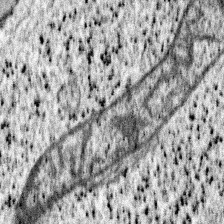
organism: Human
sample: HeLa cells